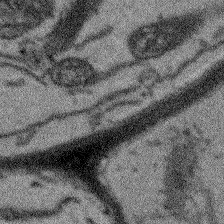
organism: Arabidopsis thaliana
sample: Root tip